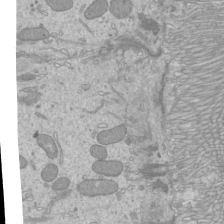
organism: Mouse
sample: Cilia; mouse epididymis